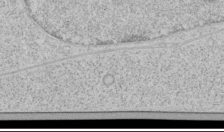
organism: Human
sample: Mitochondria in HCT116 cells